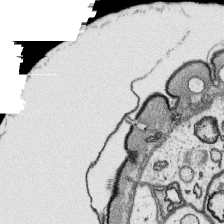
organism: Platynereis dumerilii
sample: Parapodia